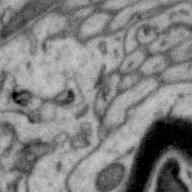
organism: Zebra finch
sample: Brain